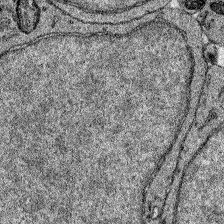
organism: Zebrafish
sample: Larval olfactory bulb